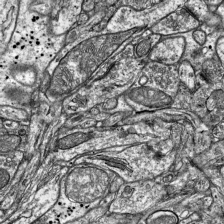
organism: Mouse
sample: Visual Cortex